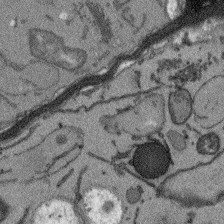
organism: Arabidopsis thaliana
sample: Root tip